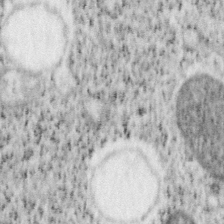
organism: Mouse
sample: OT-I killer T cells with ID8 ovarian cancer cells